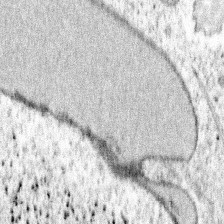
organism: Human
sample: HeLa cells